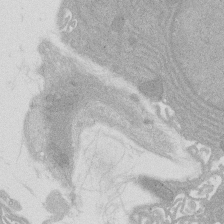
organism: Rat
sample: Salivary granule